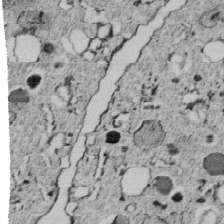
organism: C. elegans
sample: C. elegans embryo early stage